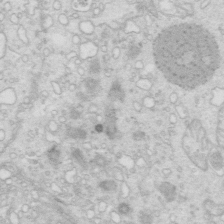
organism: Mouse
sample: Multiciliated cells